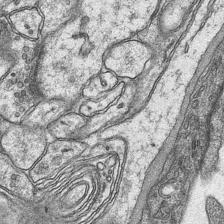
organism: Mouse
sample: CA1 Hippocampus